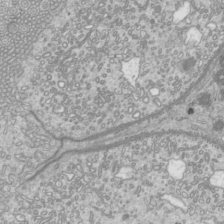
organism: Mouse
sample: Cilia; mouse epididymis